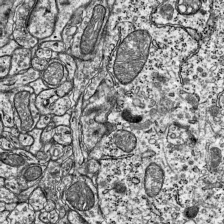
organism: Mouse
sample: Visual Cortex